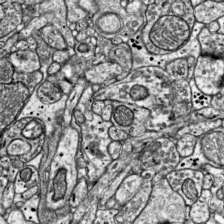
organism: Mouse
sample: Visual Cortex